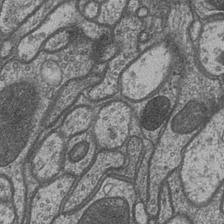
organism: Drosophila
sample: Optic medulla